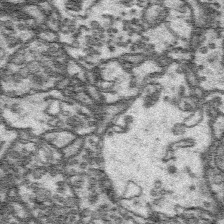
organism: Platynereis dumerilii